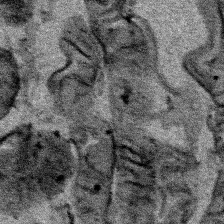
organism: Human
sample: Mitochondria in HCT116 cells